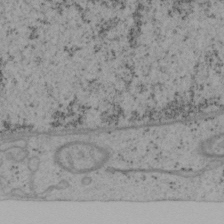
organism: Human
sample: HeLa cells